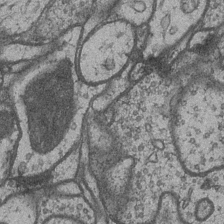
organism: Drosophila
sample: Optic medulla